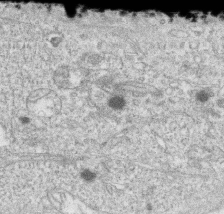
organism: Human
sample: HeLa cell HIV synapse